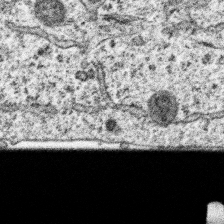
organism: Human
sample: HeLa cells